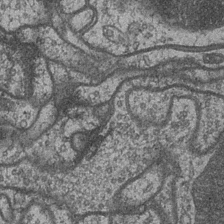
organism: Drosophila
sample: Optic medulla